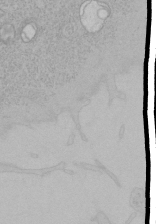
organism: Human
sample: Mitochondria in HCT116 cells